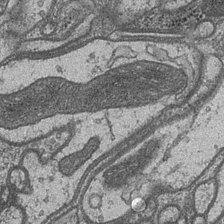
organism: Drosophila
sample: Optic medulla